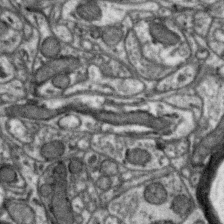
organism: Zebra finch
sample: Brain